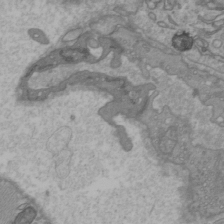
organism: C57BL Mouse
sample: Heart